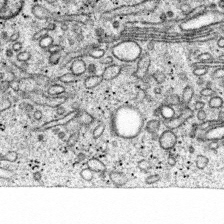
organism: Human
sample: HeLa cells